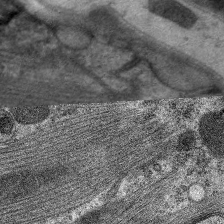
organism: C. elegans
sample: Pharynx